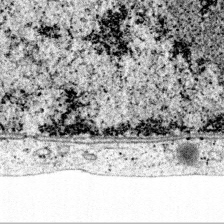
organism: Human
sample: HeLa cells